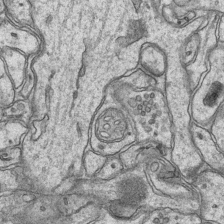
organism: Mouse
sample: CA1 Hippocampus